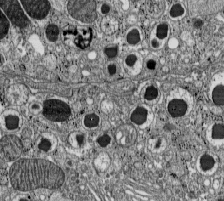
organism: C57BL Mouse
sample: Pancreatic islet